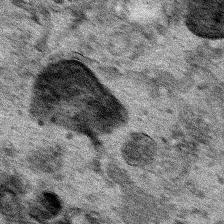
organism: Human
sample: Mitochondria in HCT116 cells